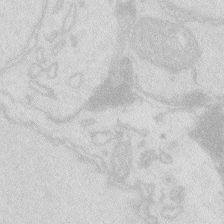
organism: Zebrafish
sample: Macrophage